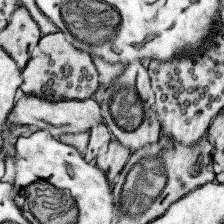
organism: Mouse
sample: Somatosensory cortex neuropil